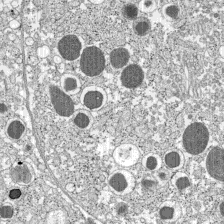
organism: C57BL Mouse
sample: Pancreatic islet